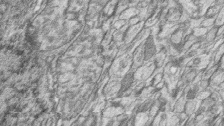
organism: Zebrafish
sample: synaptic ribbons in rod cells and cone cells